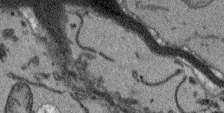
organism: Arabidopsis thaliana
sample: Root tip